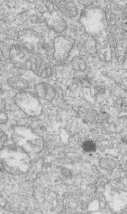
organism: Human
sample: HeLa cell HIV synapse